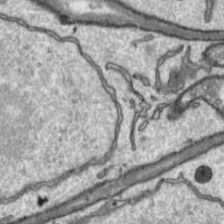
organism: Toxoplasma gondii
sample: Parasites in a vacuole inside a host cell